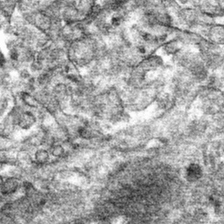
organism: Mouse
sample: Mouse hepatocytes